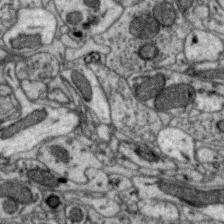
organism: Zebra finch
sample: Brain